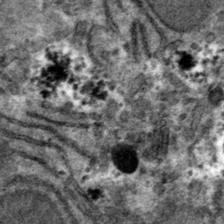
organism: Mouse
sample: Mouse hepatocytes